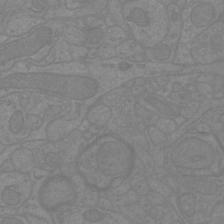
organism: Mouse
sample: Cortical neurons